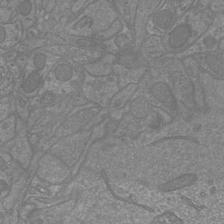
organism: Mouse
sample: Cortical neurons